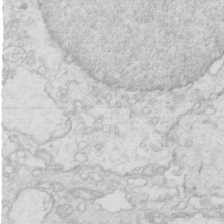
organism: Mouse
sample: Multiciliated cells